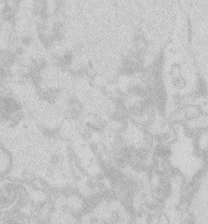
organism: Zebrafish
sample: Macrophage